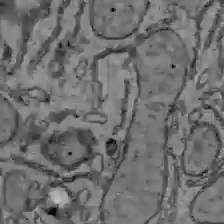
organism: C57BL Mouse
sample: Liver